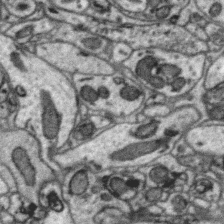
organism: Zebra finch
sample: Brain